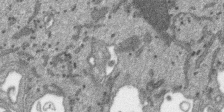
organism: Human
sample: Lung epithelial cells infected with SARS-CoV-2